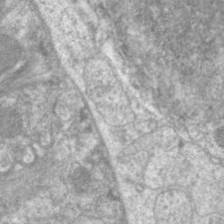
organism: C. elegans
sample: Pharynx